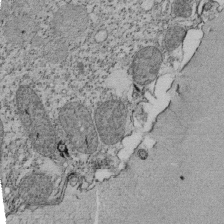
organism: Tetrahymena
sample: Cilia in tetrahymena